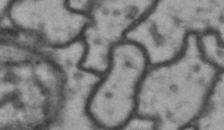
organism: Drosophila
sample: Brain